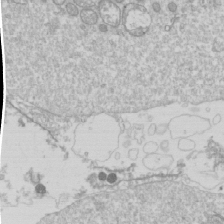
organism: Drosophila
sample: Cell division; meiosis; drosophila spermatocytes